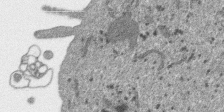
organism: Human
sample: Lung epithelial cells infected with SARS-CoV-2